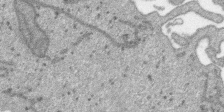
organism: Human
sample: Lung epithelial cells infected with SARS-CoV-2